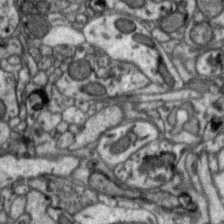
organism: Zebra finch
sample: Brain